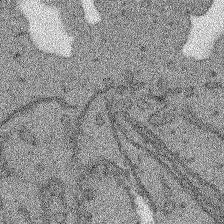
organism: Human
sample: HeLa cells